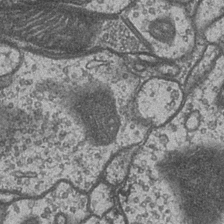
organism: Drosophila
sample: Optic medulla